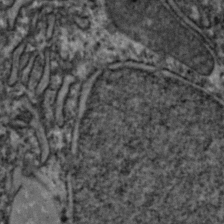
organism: Zebrafish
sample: Zebrafish embryo